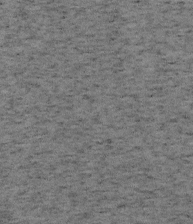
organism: Mouse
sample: OT-I killer T cells with ID8 ovarian cancer cells